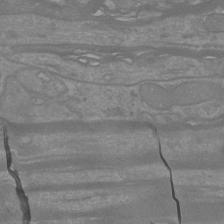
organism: Mouse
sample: Cortical neurons